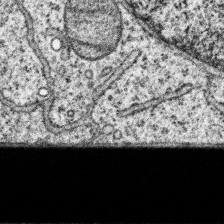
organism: Human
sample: HeLa cells